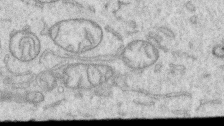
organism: Human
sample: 1205lu cells